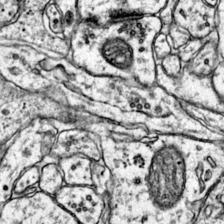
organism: Mouse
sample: Primary visual cortex